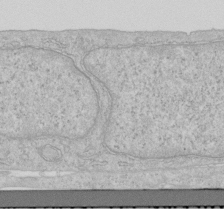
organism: Human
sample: Centriole in RPE cells